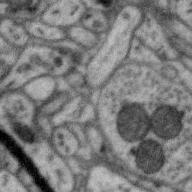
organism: Zebra finch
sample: Brain